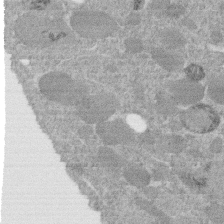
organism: C. elegans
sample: C. elegans embryo early stage